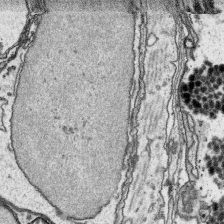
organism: Platynereis dumerilii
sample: Parapodia